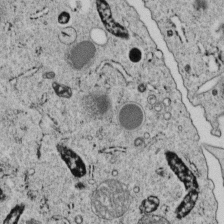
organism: C. elegans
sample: C. elegans embryo early stage